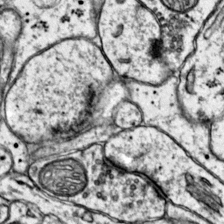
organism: Mouse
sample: Primary visual cortex